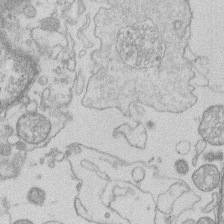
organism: Human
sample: Macrophage cells